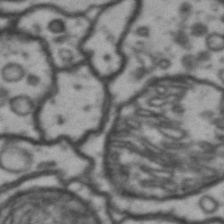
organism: Drosophila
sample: Brain